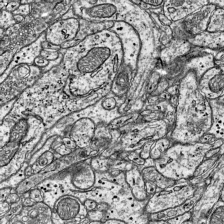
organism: Mouse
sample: Visual Cortex